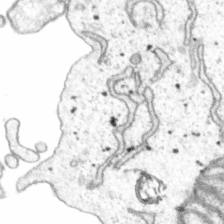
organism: Human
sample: HeLa cells